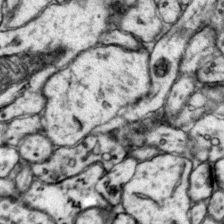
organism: Mouse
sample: Primary visual cortex